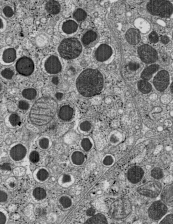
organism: C57BL Mouse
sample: Pancreatic islet